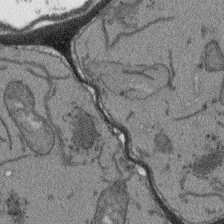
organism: Arabidopsis thaliana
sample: Root tip